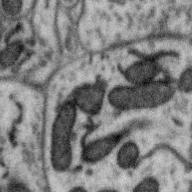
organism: Zebra finch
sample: Brain